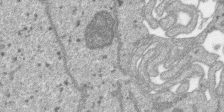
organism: Human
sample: Lung epithelial cells infected with SARS-CoV-2